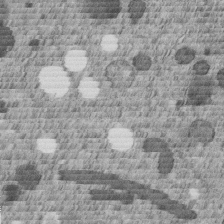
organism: C. elegans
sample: C. elegans embryo early stage